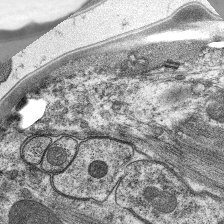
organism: C. elegans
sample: Pharynx